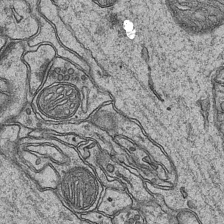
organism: Mouse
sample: CA1 Hippocampus